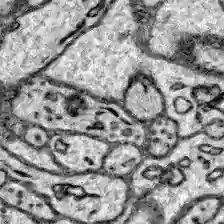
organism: Zebrafish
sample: Brain